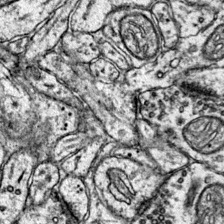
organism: Mouse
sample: Primary visual cortex